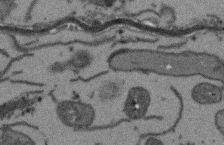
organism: Arabidopsis thaliana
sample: Root tip